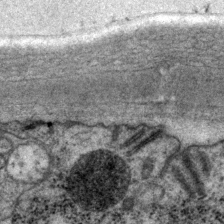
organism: P. pacificus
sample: Pharynx